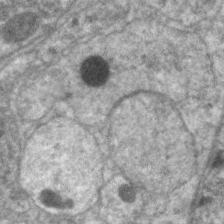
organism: C. elegans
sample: Pharynx